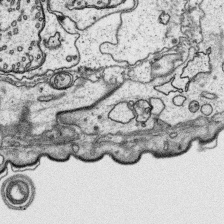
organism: Platynereis dumerilii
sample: Parapodia